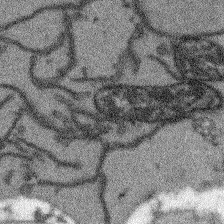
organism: Arabidopsis thaliana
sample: Root tip